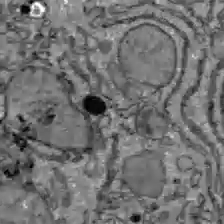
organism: C57BL Mouse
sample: Liver